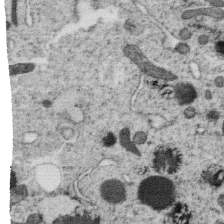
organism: C. elegans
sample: C. elegans oocyte; sperm cells